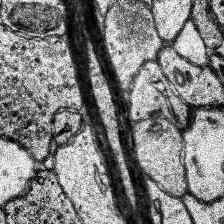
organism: Human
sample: Temporal Lobe